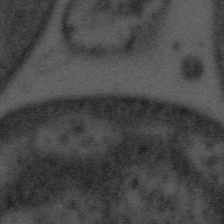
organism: Tuwongella immobilis